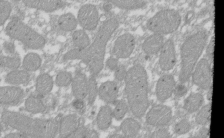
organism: Xenopus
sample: Cilia; centrioles in frog embryo cells